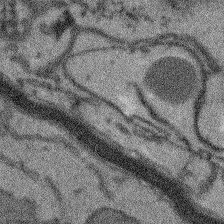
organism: Arabidopsis thaliana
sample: Root tip